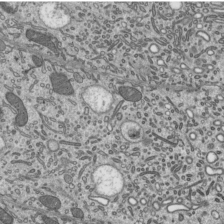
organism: Mouse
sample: Mouse epididymis efferent ductule cilia